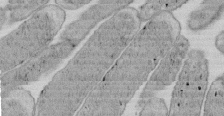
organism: E. coli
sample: Bacterial nucleoid